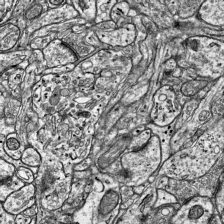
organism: Mouse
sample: Visual Cortex